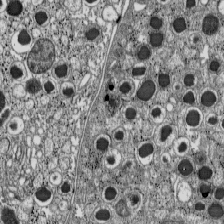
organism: C57BL Mouse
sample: Pancreatic islet